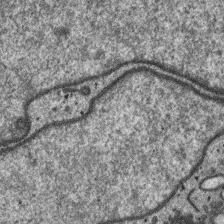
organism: Human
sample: Lung epithelial cells infected with SARS-CoV-2